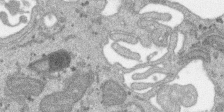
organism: Human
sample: Lung epithelial cells infected with SARS-CoV-2